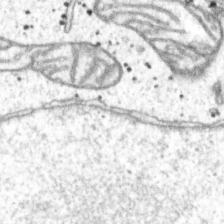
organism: Human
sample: HeLa cells